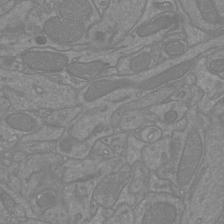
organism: Mouse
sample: Cortical neurons